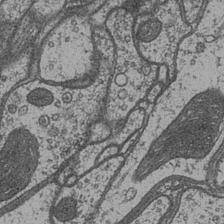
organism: Drosophila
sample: Optic medulla